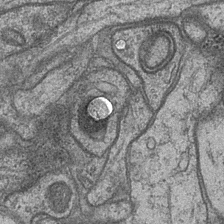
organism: Drosophila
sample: Optic medulla